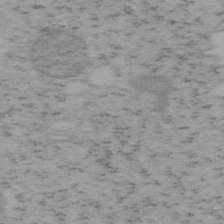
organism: Mouse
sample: OT-I killer T cells with ID8 ovarian cancer cells